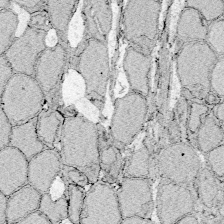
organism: Zebrafish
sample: Whole-Brain